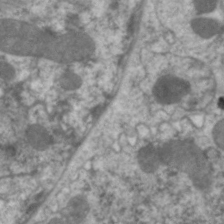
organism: C. elegans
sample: Pharynx